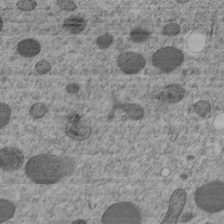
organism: C. elegans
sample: C. elegans embryo early stage